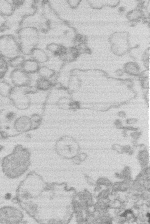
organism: Human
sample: Macrophage cells